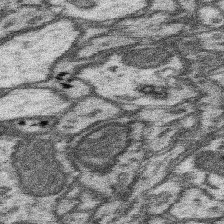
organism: Mouse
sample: Somatosensory cortex neuropil